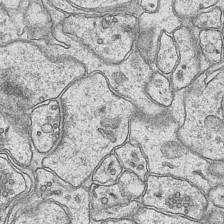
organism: Mouse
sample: CA1 Hippocampus